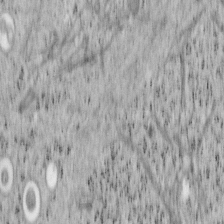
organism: Human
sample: HeLa cells